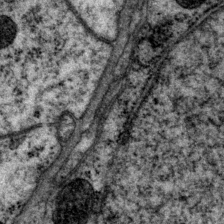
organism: P. pacificus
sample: Pharynx